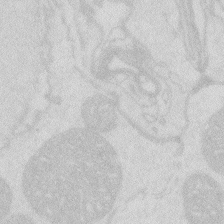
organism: Zebrafish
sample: Macrophage